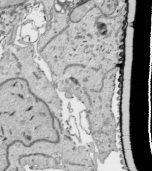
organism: Human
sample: Mitochondria in HCT116 cells